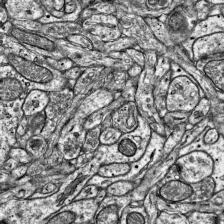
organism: Mouse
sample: Visual Cortex